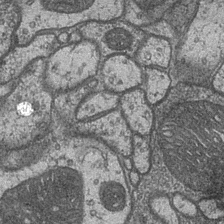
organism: Drosophila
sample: Optic medulla